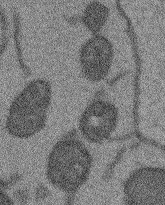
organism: Arabidopsis thaliana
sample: Root tip